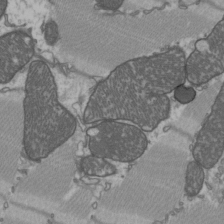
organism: C57BL Mouse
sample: Heart